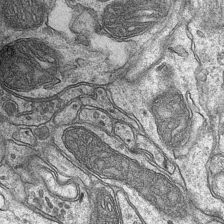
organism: Mouse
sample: CA1 Hippocampus